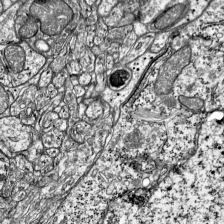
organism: Mouse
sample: Visual Cortex